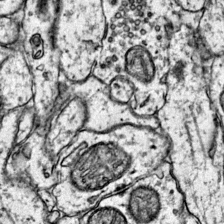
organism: Mouse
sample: Primary visual cortex